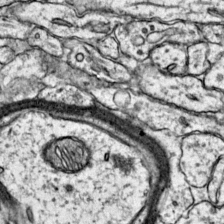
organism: Mouse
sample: Primary visual cortex